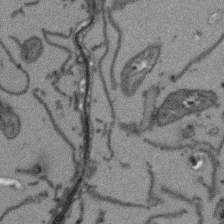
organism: Arabidopsis thaliana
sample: Root tip